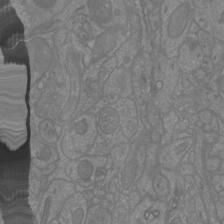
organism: Mouse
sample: Cortical neurons